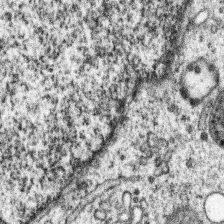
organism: Human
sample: HeLa cells